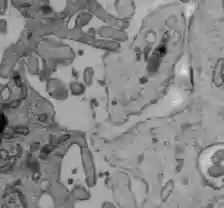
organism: C57BL Mouse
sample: Liver